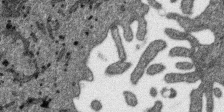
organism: Human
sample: Lung epithelial cells infected with SARS-CoV-2